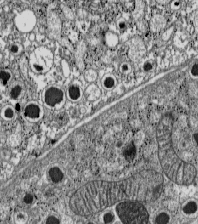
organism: C57BL Mouse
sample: Pancreatic islet